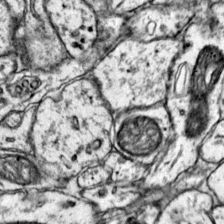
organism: Mouse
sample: Primary visual cortex